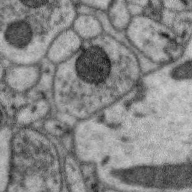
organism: Zebra finch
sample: Brain